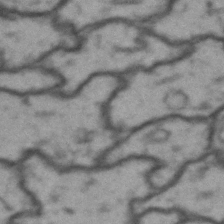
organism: Drosophila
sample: Brain